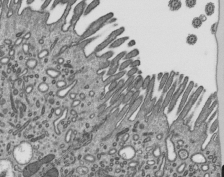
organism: Mouse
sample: Mouse epididymis efferent ductule cilia